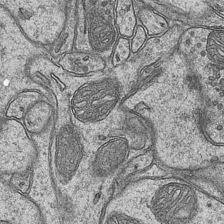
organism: Mouse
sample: CA1 Hippocampus